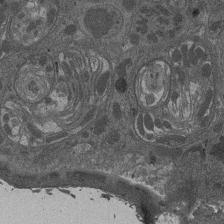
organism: Drosophila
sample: Antenna